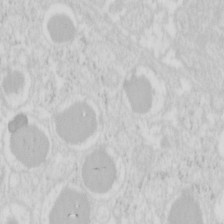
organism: Mouse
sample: Pancreas